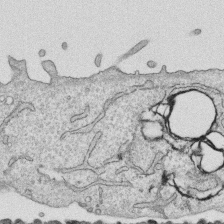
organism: Human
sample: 1205lu cells